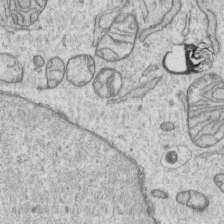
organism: Human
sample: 1205lu cells